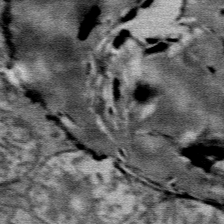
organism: Mouse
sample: Mouse Salivary gland